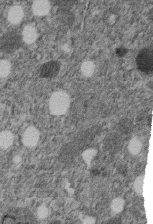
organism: C. elegans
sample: C. elegans embryo early stage